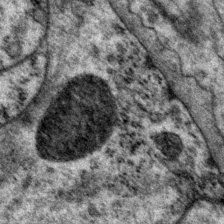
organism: P. pacificus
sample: Pharynx